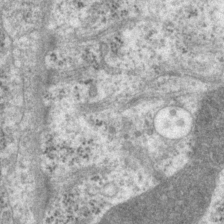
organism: P. pacificus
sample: Pharynx